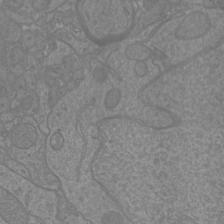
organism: Mouse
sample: Cortical neurons